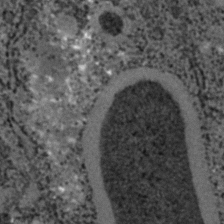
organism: C. elegans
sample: C. elegans embryo